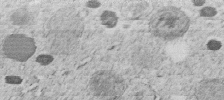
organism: C. elegans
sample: C. elegans embryo early stage